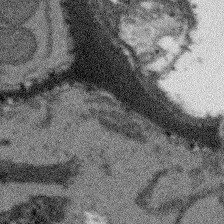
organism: Arabidopsis thaliana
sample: Root tip